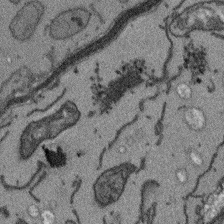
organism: Arabidopsis thaliana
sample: Root tip